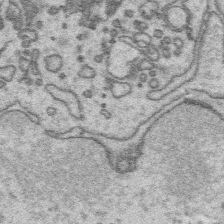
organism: Platynereis dumerilii